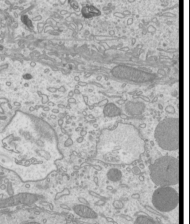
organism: Mouse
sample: Cilia; mouse epididymis